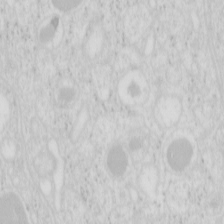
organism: Mouse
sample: Pancreas